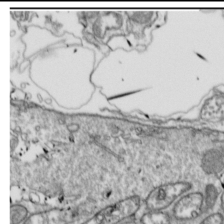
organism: Drosophila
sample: Cell division; meiosis; drosophila spermatocytes